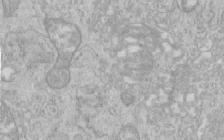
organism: Human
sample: Centriole in RPE cells